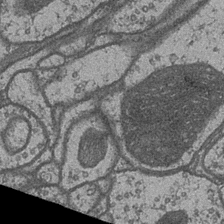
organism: Drosophila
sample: Optic medulla